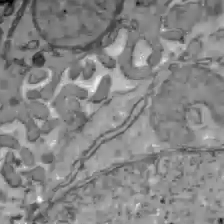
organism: C57BL Mouse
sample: Liver